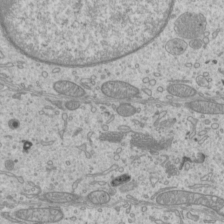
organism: Mouse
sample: Cilia; mouse epididymis